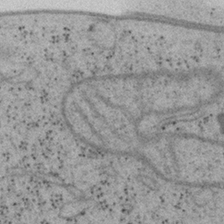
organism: Human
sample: HeLa cells